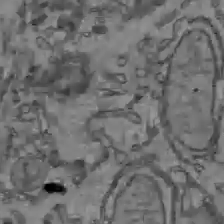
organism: C57BL Mouse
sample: Liver